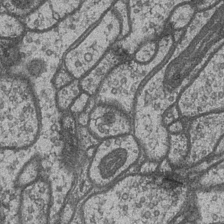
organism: Drosophila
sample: Optic medulla